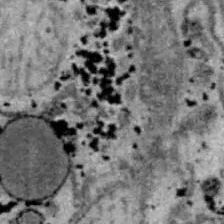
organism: Mouse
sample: Liver from an obese (ob/ob) mouse